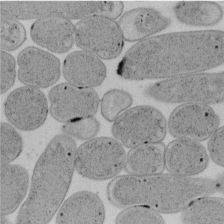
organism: E. coli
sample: Bacterial nucleoid